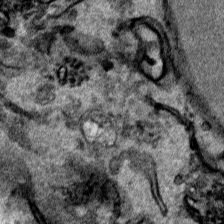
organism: Human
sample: Mitochondria in HCT116 cells